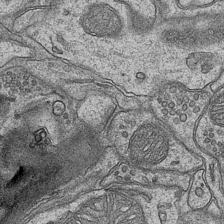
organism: Mouse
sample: CA1 Hippocampus